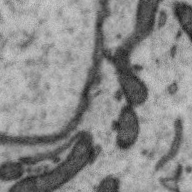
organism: Zebra finch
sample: Brain